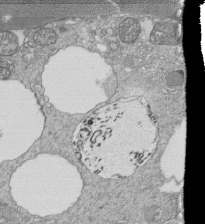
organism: Tetrahymena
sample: Cilia in tetrahymena